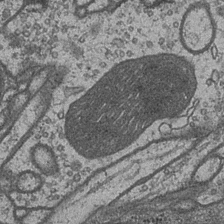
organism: Drosophila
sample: Optic medulla